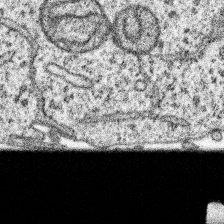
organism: Human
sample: HeLa cells